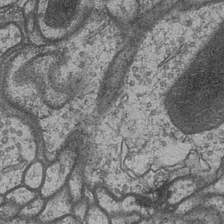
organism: Drosophila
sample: Optic medulla